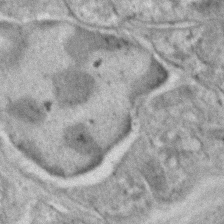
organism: C. elegans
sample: C. elegans embryo